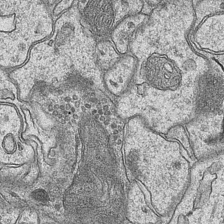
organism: Mouse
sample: CA1 Hippocampus